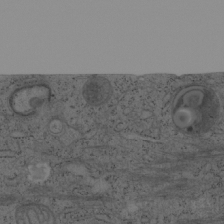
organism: Human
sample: HeLa cells